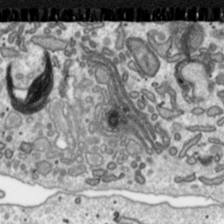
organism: Toxoplasma gondii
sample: Parasites in a vacuole inside a host cell